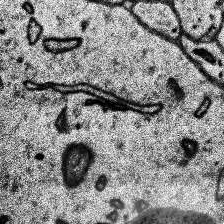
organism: Human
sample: Temporal Lobe